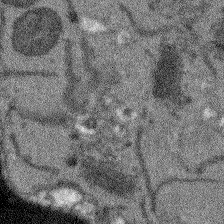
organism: Arabidopsis thaliana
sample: Root tip